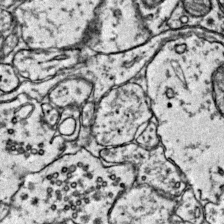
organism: Mouse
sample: Primary visual cortex